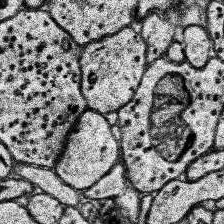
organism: Human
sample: Temporal Lobe